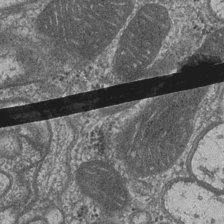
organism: Drosophila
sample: Optic medulla